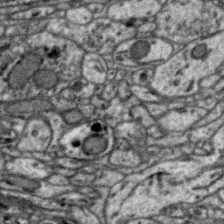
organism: Zebra finch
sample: Brain